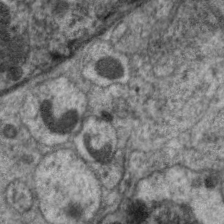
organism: C. elegans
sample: Pharynx